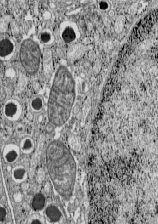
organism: C57BL Mouse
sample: Pancreatic islet